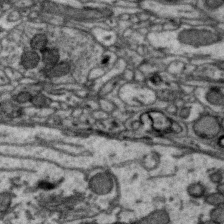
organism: Zebra finch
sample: Brain